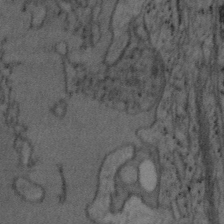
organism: Human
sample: HeLa cells